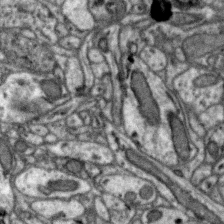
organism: Zebra finch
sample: Brain